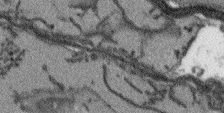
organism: Arabidopsis thaliana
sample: Root tip